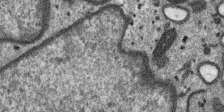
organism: Human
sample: Lung epithelial cells infected with SARS-CoV-2